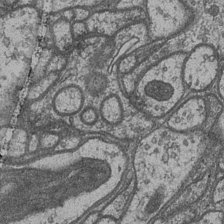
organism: Drosophila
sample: Optic medulla